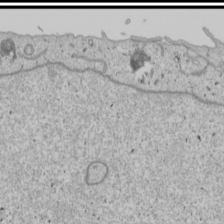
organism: Human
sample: Mitochondria in U2OS cells